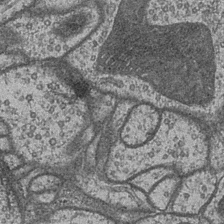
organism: Drosophila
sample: Optic medulla